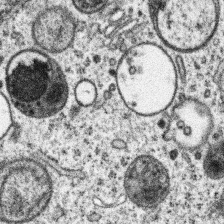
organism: Human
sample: HeLa cells